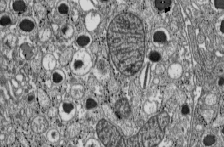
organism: C57BL Mouse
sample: Pancreatic islet